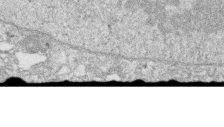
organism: Human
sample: HeLa cell HIV synapse